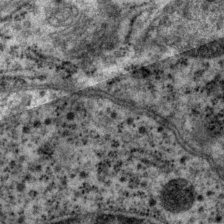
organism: P. pacificus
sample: Pharynx